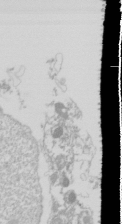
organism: Drosophila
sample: Cell division; meiosis; drosophila spermatocytes